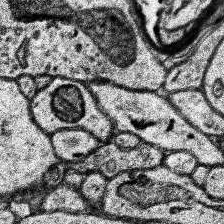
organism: Human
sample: Temporal Lobe